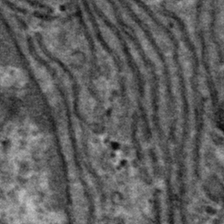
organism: Mouse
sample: Mouse hepatocytes